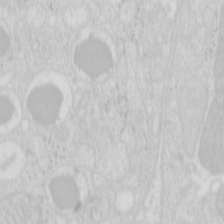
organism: Mouse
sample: Pancreas